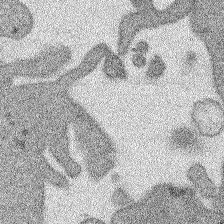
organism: Human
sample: HeLa cells